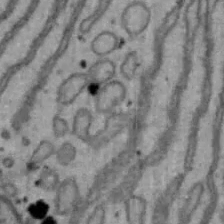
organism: Mouse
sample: Liver